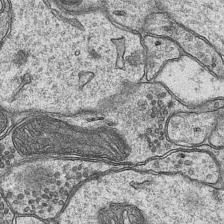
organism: Mouse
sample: CA1 Hippocampus